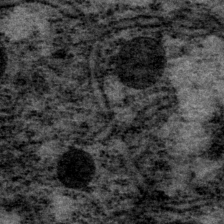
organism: P. pacificus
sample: Pharynx